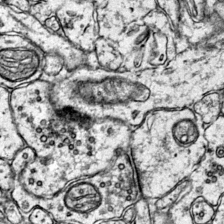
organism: Mouse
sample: Primary visual cortex